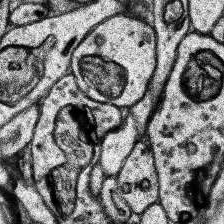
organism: Human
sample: Temporal Lobe